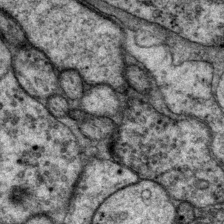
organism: P. pacificus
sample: Pharynx